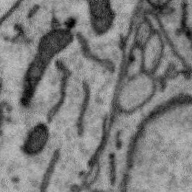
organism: Zebra finch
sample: Brain